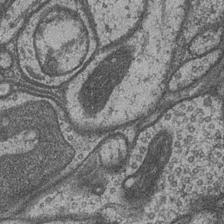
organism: Drosophila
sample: Optic medulla